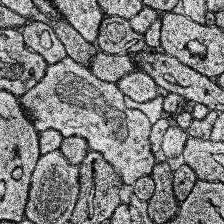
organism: Human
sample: Temporal Lobe